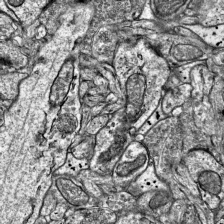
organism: Mouse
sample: Visual Cortex